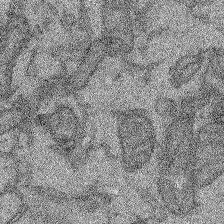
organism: Human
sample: HeLa cells